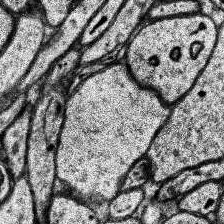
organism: Human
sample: Temporal Lobe